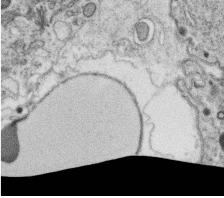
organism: C. elegans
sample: C. elegans oocyte; sperm cells